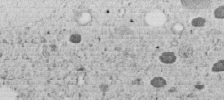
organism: C. elegans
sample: C. elegans embryo early stage